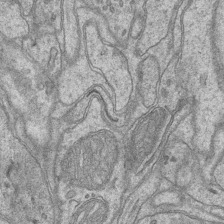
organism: Mouse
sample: CA1 Hippocampus